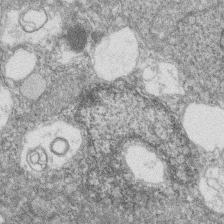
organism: Zebrafish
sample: Cilia; retinal pigment epithelium